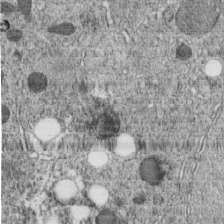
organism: C. elegans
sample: C. elegans embryo early stage